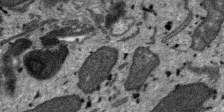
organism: Human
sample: Lung epithelial cells, uninfected (mock) control